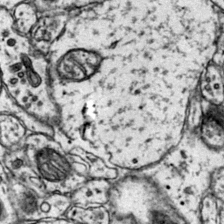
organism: Mouse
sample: Primary visual cortex